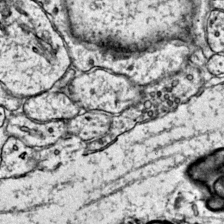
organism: Mouse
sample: Primary visual cortex